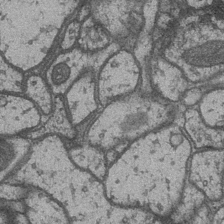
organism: Drosophila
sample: Optic medulla